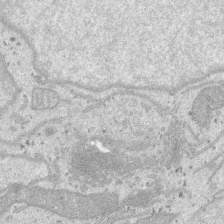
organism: Human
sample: Lung epithelial cells infected with SARS-CoV-2